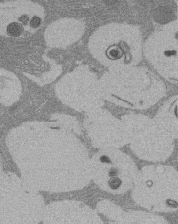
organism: Rat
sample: Salivary granule